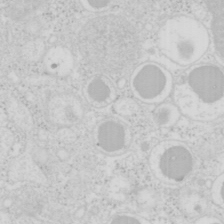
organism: Mouse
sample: Pancreas